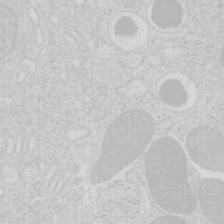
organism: Mouse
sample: Pancreas